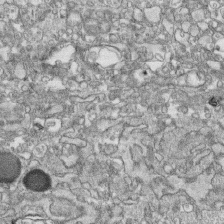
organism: Human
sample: CRL-1474